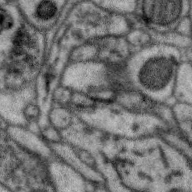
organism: Zebra finch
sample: Brain